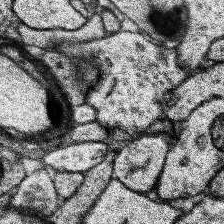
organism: Human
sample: Temporal Lobe